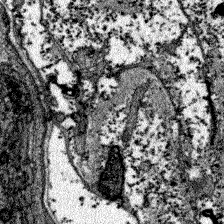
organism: Zebrafish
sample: Larval olfactory bulb